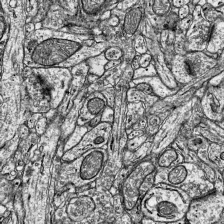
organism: Mouse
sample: Visual Cortex